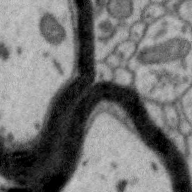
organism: Zebra finch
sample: Brain